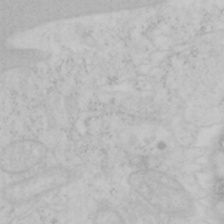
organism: Mouse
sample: OT-I killer T cells with ID8 ovarian cancer cells